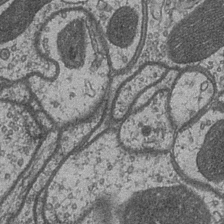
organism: Drosophila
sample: Optic medulla